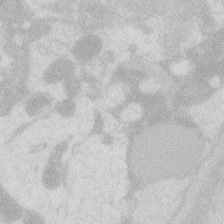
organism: Zebrafish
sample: Macrophage